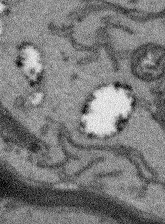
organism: Arabidopsis thaliana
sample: Root tip